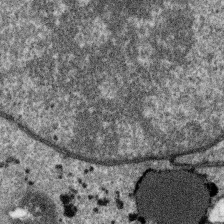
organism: Human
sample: Lung epithelial cells infected with SARS-CoV-2